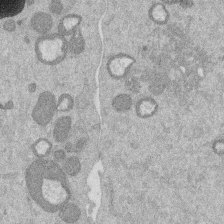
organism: Mouse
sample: Dividing mouse embryo 1 cell stage